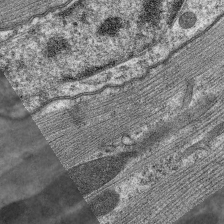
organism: C. elegans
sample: Pharynx